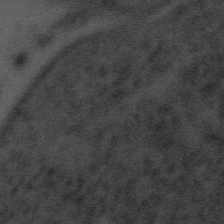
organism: Tuwongella immobilis